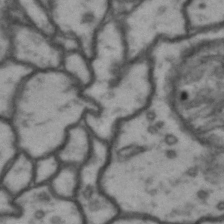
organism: Drosophila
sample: Brain